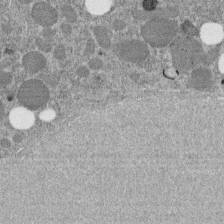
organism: C. elegans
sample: C. elegans embryo early stage